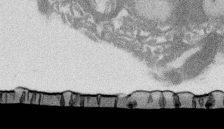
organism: Rat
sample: Salivary granule